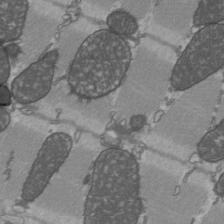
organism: C57BL Mouse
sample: Heart